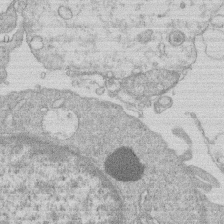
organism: Human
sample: Macrophage cells